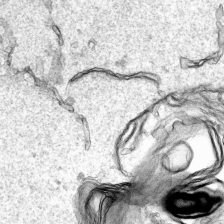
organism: Human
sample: Mitochondria in HCT116 cells